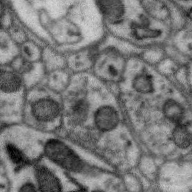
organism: Zebra finch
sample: Brain